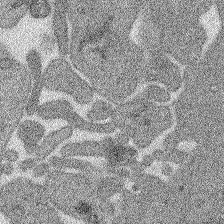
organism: Human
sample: HeLa cells